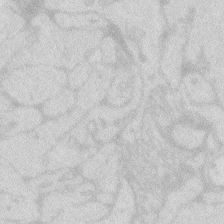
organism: Zebrafish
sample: Macrophage